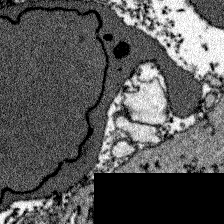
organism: Zebrafish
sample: Larval olfactory bulb